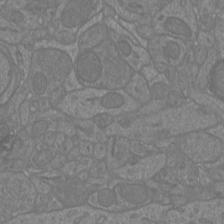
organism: Mouse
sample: Cortical neurons